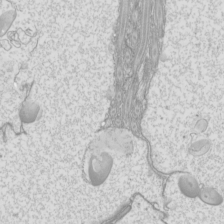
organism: Mouse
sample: Cilia; mouse epididymis